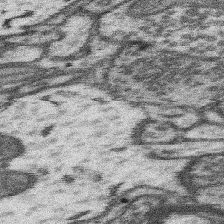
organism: Mouse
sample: Somatosensory cortex neuropil